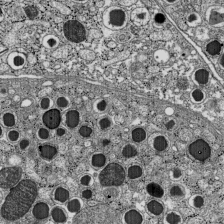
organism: C57BL Mouse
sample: Pancreatic islet